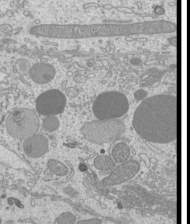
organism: Mouse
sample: Cilia; mouse epididymis